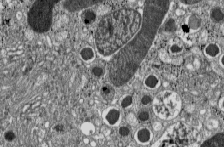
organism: C57BL Mouse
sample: Pancreatic islet